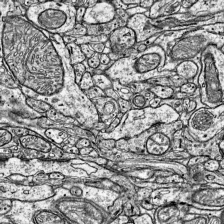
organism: Mouse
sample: Visual Cortex